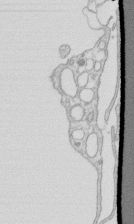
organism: Mouse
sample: Macrophages